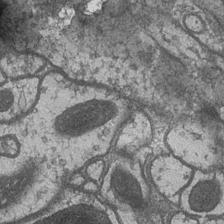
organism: Drosophila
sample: Optic medulla